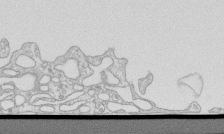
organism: Mouse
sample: Macrophages